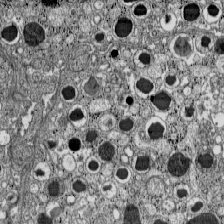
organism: C57BL Mouse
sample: Pancreatic islet